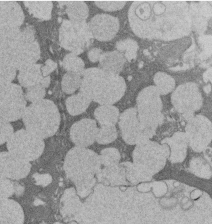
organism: Rat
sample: Salivary granule